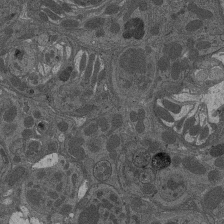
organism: Drosophila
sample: Antenna